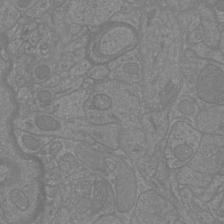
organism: Mouse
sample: Cortical neurons